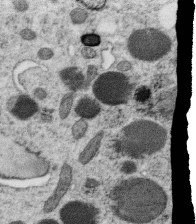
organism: C. elegans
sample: C. elegans oocyte; sperm cells